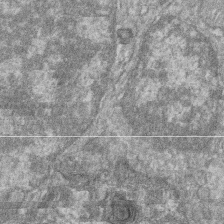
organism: Zebrafish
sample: Cilia; retinal pigment epithelium